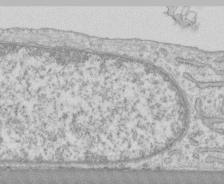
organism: Human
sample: CRL-1474